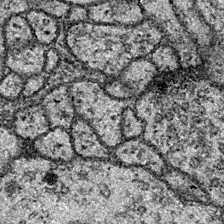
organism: Drosophila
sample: Ventral Nerve Cord